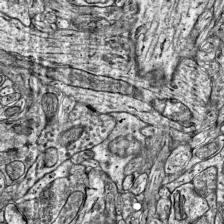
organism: Mouse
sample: Visual Cortex